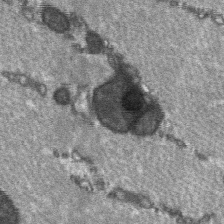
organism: C57BL Mouse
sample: Soleus